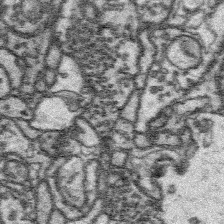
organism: Platynereis dumerilii